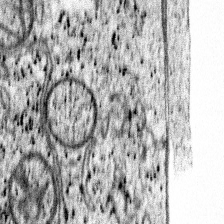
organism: Human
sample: HeLa cells